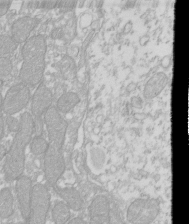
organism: Xenopus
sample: Cilia; centrioles in frog embryo cells